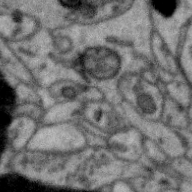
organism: Zebra finch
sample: Brain